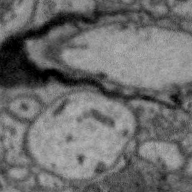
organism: Zebra finch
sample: Brain